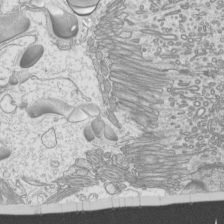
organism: Mouse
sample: Cilia; mouse epididymis